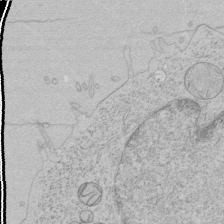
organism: Human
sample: Mitochondria in HCT116 cells